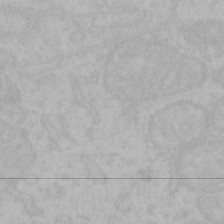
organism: Mouse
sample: Choroid plexus